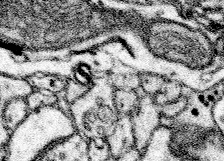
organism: Mouse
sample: Somatosensory cortex neuropil